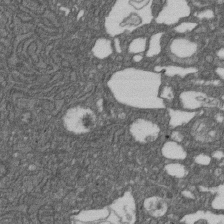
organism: Drosophila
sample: Nephrocyte